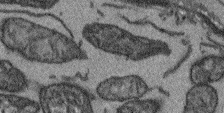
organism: Arabidopsis thaliana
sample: Root tip